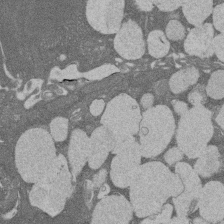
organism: Rat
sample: Salivary granule